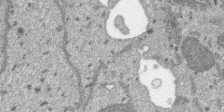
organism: Human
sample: Lung epithelial cells infected with SARS-CoV-2